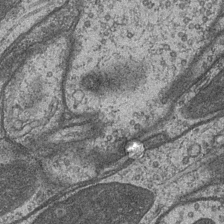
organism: Drosophila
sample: Optic medulla